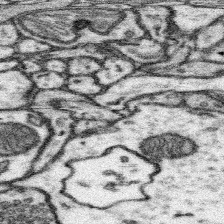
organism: Mouse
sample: Somatosensory cortex neuropil